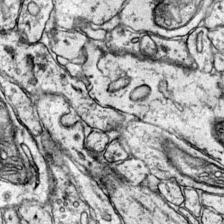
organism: Mouse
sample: Primary visual cortex